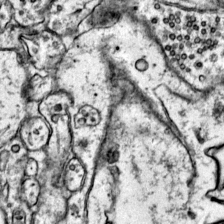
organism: Mouse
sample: Primary visual cortex